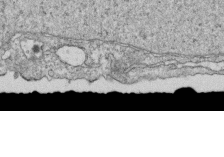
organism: Human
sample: HeLa cell HIV synapse